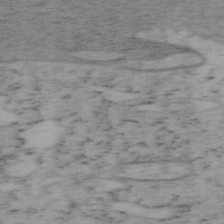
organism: Mouse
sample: OT-I killer T cells with ID8 ovarian cancer cells